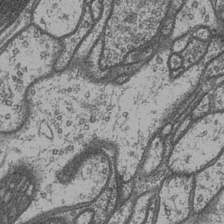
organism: Drosophila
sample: Optic medulla